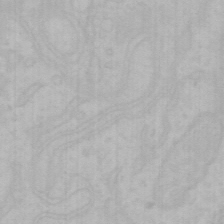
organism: Mouse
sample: Choroid plexus